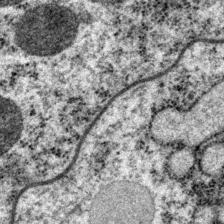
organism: P. pacificus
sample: Pharynx